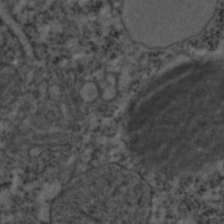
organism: C. elegans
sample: C. elegans embryo